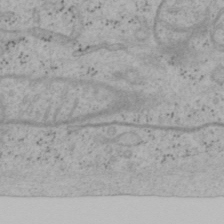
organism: Human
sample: HeLa cells